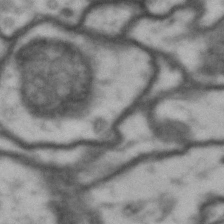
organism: Drosophila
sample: Brain